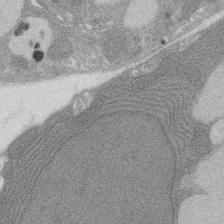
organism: Rat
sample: Salivary granule